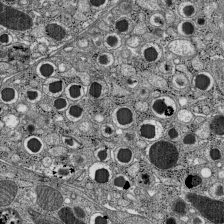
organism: C57BL Mouse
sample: Pancreatic islet